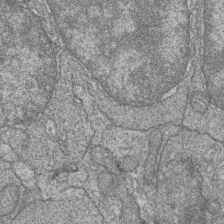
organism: Zebrafish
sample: Cilia; retinal pigment epithelium